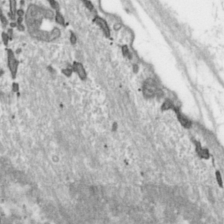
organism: Toxoplasma gondii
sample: Parasites in a vacuole inside a host cell